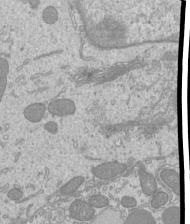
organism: Mouse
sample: Cilia; mouse epididymis